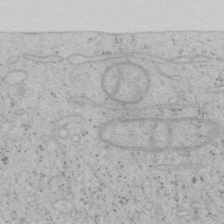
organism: Human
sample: HeLa cells